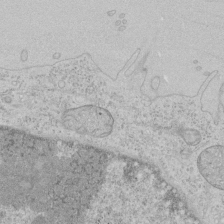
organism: Human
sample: Mitochondria in HCT116 cells